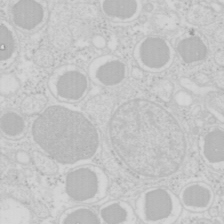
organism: Mouse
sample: Pancreas